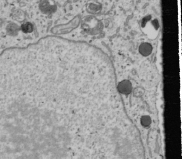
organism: Human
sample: Mitochondria in U2OS cells